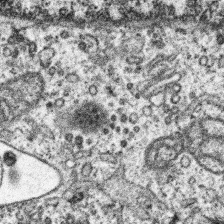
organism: Human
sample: HeLa cells